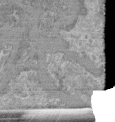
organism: Mouse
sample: Glomerulus